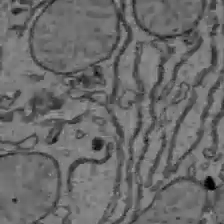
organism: C57BL Mouse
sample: Liver